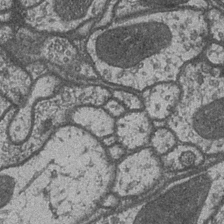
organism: Drosophila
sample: Optic medulla